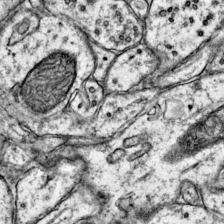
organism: Mouse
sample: Primary visual cortex